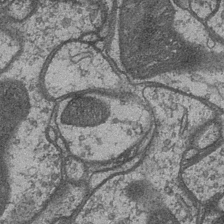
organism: Drosophila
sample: Optic medulla